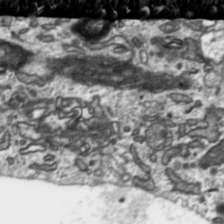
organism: Toxoplasma gondii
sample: Parasites in a vacuole inside a host cell